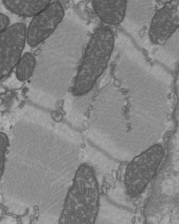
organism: C57BL Mouse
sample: Heart